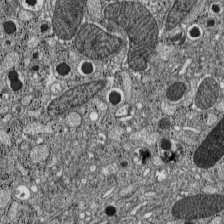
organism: C57BL Mouse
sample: Pancreatic islet